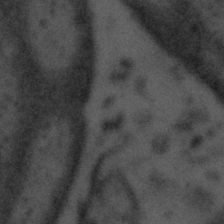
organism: Tuwongella immobilis